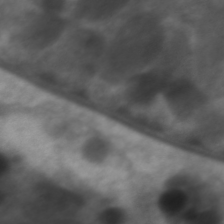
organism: C. elegans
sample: Pharynx